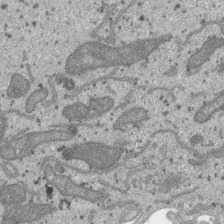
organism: Human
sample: Lung epithelial cells infected with SARS-CoV-2